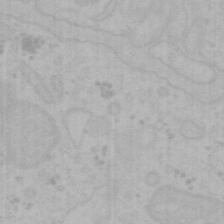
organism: Mouse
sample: Choroid plexus